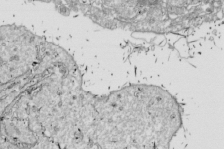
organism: Drosophila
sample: Cell division; meiosis; drosophila spermatocytes